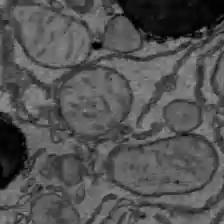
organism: C57BL Mouse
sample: Liver